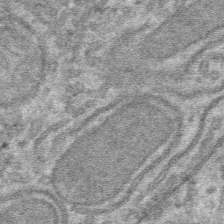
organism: Mouse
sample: Mouse hepatocytes